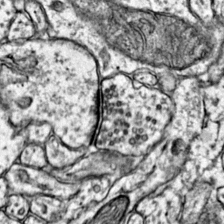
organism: Mouse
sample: Primary visual cortex